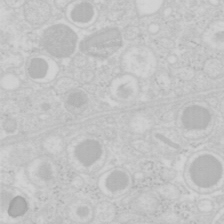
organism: Mouse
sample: Pancreas